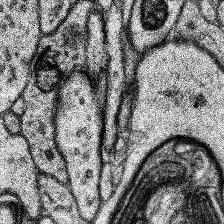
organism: Human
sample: Temporal Lobe